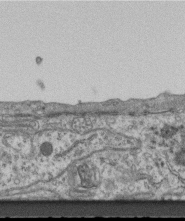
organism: Mouse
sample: Centriole in ependymal cells